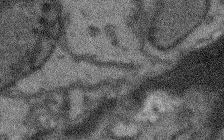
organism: Arabidopsis thaliana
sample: Root tip